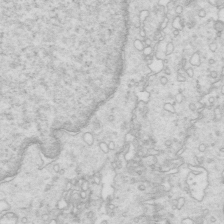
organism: Mouse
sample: Multiciliated cells